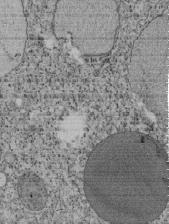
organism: Tetrahymena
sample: Cilia in tetrahymena